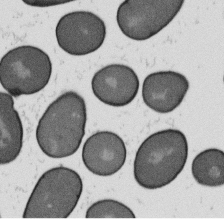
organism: B. subtilis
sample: Bacterial spore